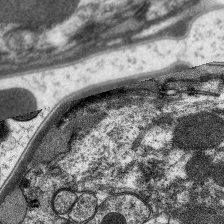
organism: C. elegans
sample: Pharynx